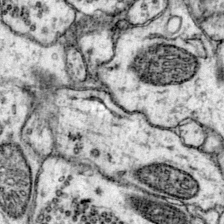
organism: Mouse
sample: Primary visual cortex